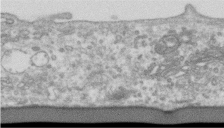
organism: Human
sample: Centriole in RPE cells